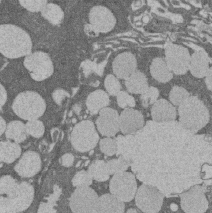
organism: Rat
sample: Salivary granule